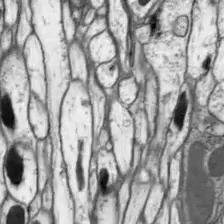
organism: Drosophila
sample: Optic lobe